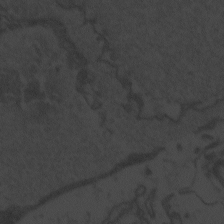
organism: Zebrafish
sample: Macrophage infected with Toxoplasma gondii